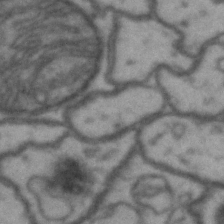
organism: Drosophila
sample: Brain